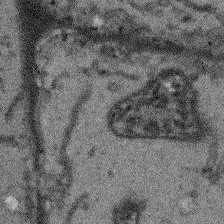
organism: Arabidopsis thaliana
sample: Root tip